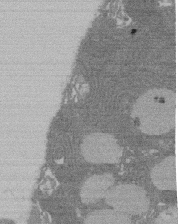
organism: Rat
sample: Salivary granule